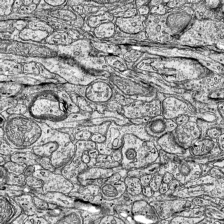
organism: Mouse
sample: Visual Cortex